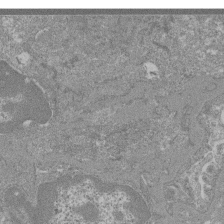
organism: Mouse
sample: Glomerulus